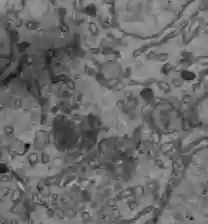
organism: C57BL Mouse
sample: Liver